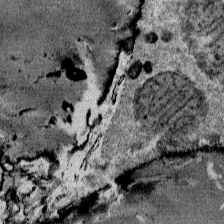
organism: Mouse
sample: Mouse Salivary gland